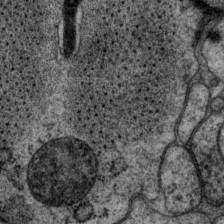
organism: P. pacificus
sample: Pharynx